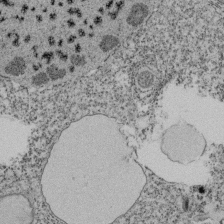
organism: Tetrahymena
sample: Cilia in tetrahymena